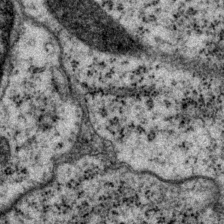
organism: P. pacificus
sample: Pharynx